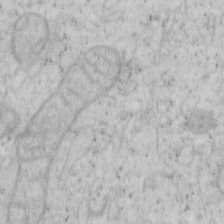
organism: Human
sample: HeLa cells